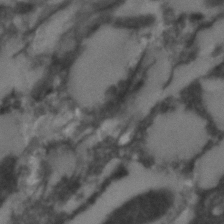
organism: C. elegans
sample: C. elegans embryo